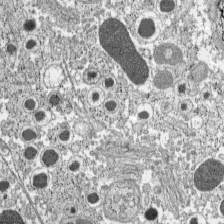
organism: C57BL Mouse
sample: Pancreatic islet